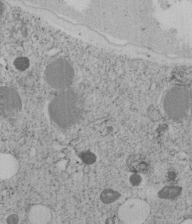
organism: C. elegans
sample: C. elegans embryo early stage